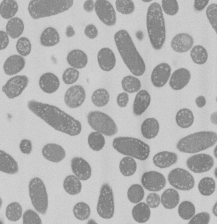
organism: E. coli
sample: Bacterial nucleoid